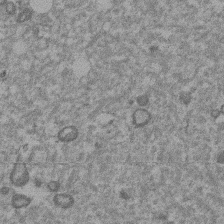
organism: Mouse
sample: Dividing mouse embryo 1 cell stage